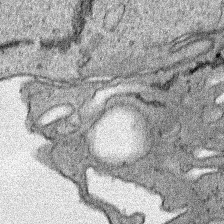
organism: Human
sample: Mitochondria in HCT116 cells